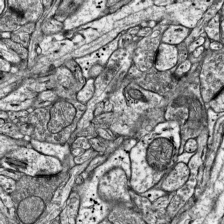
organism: Mouse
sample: Visual Cortex